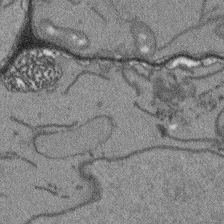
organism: Arabidopsis thaliana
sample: Root tip